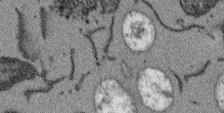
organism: Arabidopsis thaliana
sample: Root tip